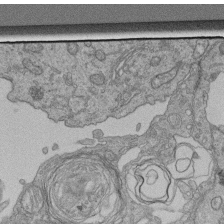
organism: Human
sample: Retinal organoid Rod and Cone cells